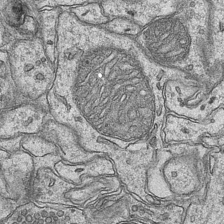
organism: Mouse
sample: CA1 Hippocampus